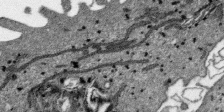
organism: Human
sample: Lung epithelial cells, uninfected (mock) control